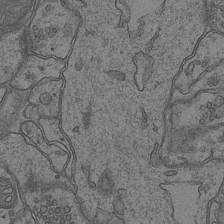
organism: Mouse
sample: CA1 Hippocampus